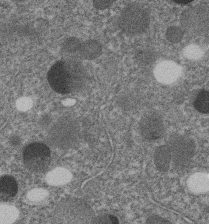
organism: C. elegans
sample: C. elegans embryo early stage